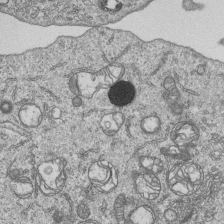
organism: Human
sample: MDA-MB-231 cells